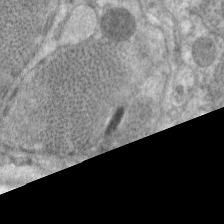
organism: C. elegans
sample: Pharynx